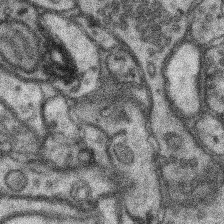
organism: Mouse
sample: Somatosensory cortex neuropil